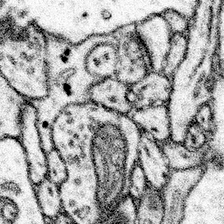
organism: Mouse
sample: Somatosensory cortex neuropil